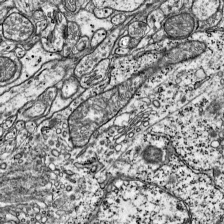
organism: Mouse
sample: Visual Cortex